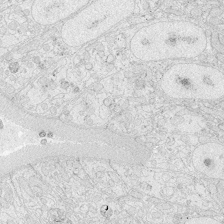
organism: Zebrafish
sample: Whole-Brain